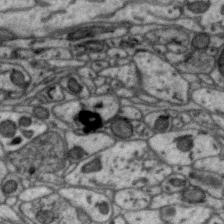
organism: Zebra finch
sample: Brain